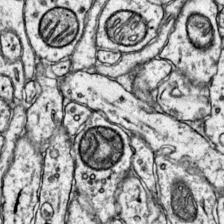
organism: Mouse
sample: Primary visual cortex